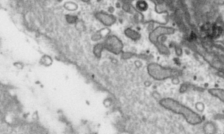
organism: Toxoplasma gondii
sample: Parasites in a vacuole inside a host cell